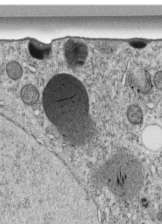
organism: C. elegans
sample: C. elegans embryo early stage